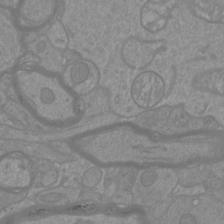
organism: Mouse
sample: Cortical neurons